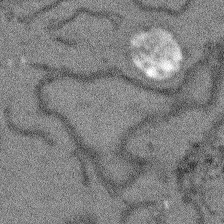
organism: Arabidopsis thaliana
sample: Root tip